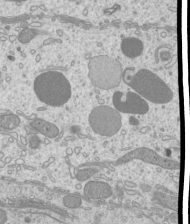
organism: Mouse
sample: Cilia; mouse epididymis